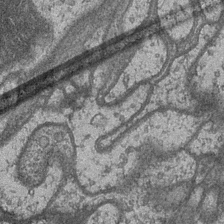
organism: Drosophila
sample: Optic medulla